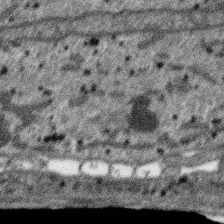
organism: Human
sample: Lung epithelial cells infected with SARS-CoV-2